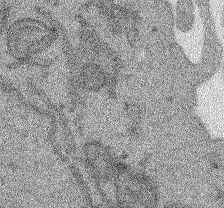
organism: Human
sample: HeLa cells